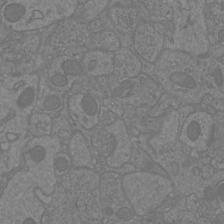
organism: Mouse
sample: Cortical neurons